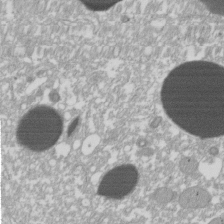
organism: Xenopus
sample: Cilia; centrioles in frog embryo cells